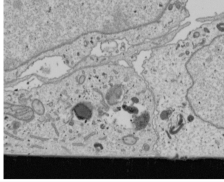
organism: Human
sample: Mitochondria in U2OS cells